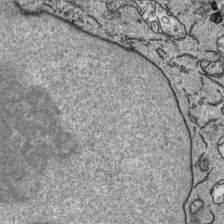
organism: Human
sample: Mitochondria in HCT116 cells